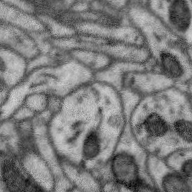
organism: Zebra finch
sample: Brain